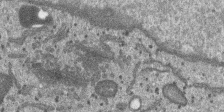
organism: Human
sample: Lung epithelial cells infected with SARS-CoV-2